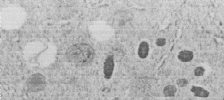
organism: C. elegans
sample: C. elegans embryo early stage